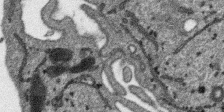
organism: Human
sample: Lung epithelial cells infected with SARS-CoV-2